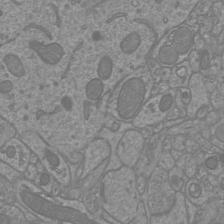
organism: Mouse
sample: Cortical neurons